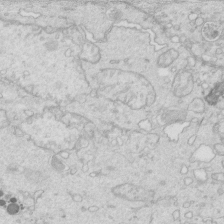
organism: Mouse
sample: Multiciliated cells